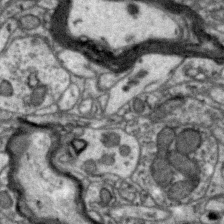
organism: Zebra finch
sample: Brain